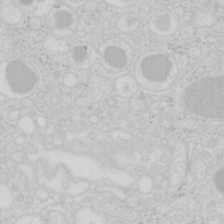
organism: Mouse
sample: Pancreas